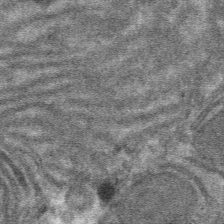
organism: Mouse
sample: Mouse hepatocytes